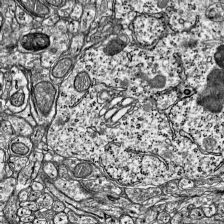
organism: Mouse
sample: Visual Cortex